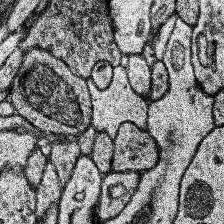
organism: Human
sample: Temporal Lobe